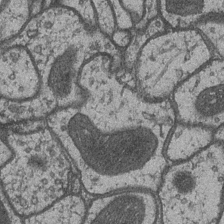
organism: Drosophila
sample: Optic medulla